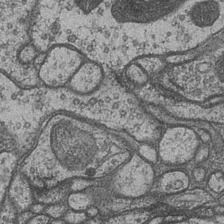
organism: Drosophila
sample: Optic medulla